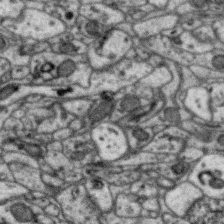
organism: Zebra finch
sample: Brain